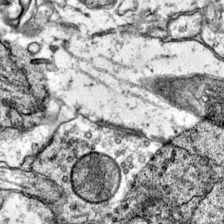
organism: Mouse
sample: Primary visual cortex